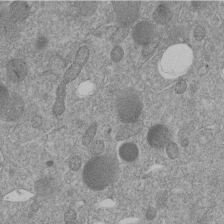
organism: C. elegans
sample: C. elegans embryo early stage